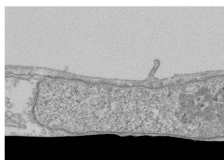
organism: Human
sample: Fibroblast cells